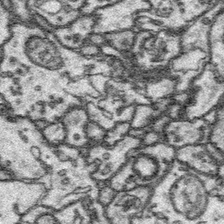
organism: Platynereis dumerilii